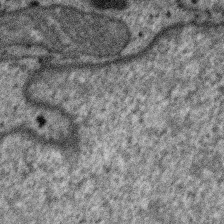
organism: Human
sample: Lung epithelial cells infected with SARS-CoV-2